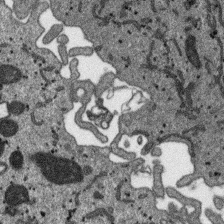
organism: Human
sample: Lung epithelial cells infected with SARS-CoV-2